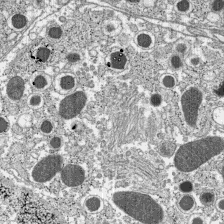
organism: C57BL Mouse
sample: Pancreatic islet